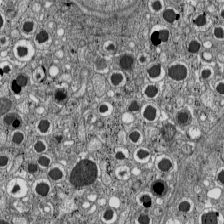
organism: C57BL Mouse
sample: Pancreatic islet